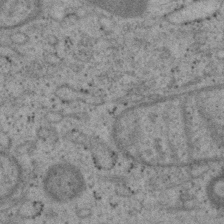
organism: Human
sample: HeLa cells